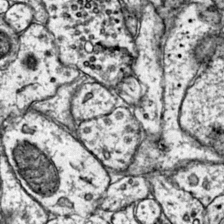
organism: Mouse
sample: Primary visual cortex